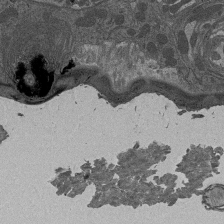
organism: Drosophila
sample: Antenna